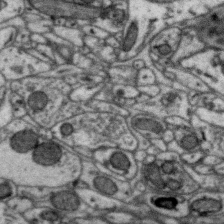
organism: Zebra finch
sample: Brain